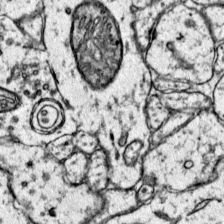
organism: Mouse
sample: Primary visual cortex